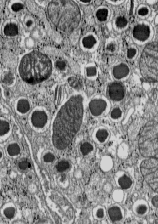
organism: C57BL Mouse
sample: Pancreatic islet